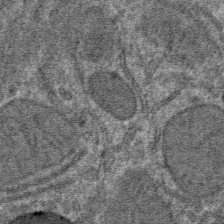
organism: Mouse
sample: Mouse hepatocytes